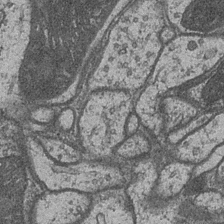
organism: Drosophila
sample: Optic medulla